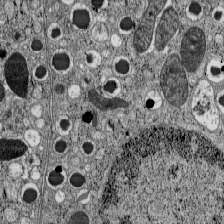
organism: C57BL Mouse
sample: Pancreatic islet